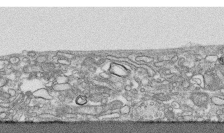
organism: Human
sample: CRL-1474